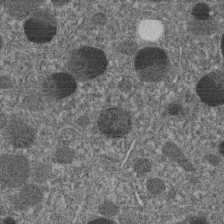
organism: C. elegans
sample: C. elegans embryo early stage